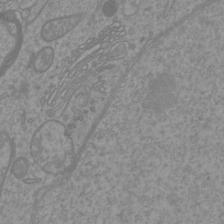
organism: Mouse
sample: Cortical neurons